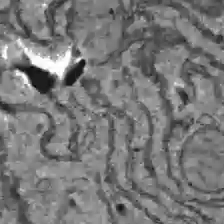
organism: C57BL Mouse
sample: Liver